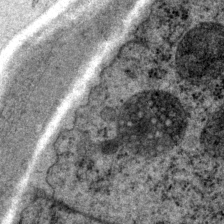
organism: P. pacificus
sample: Pharynx